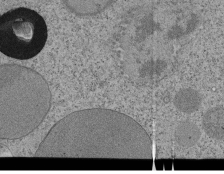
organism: Tetrahymena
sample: Cilia in tetrahymena